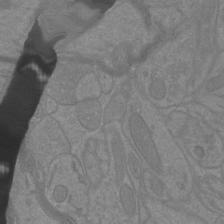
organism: Mouse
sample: Cortical neurons